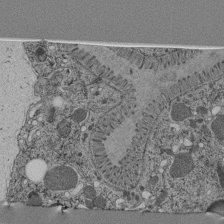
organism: C. elegans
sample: C. elegans pharynx